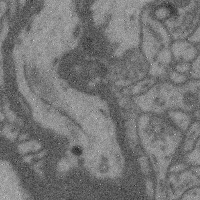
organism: Mouse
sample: Cerebral cortex